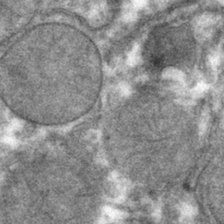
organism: Mouse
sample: Mouse hepatocytes